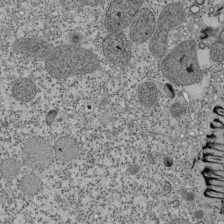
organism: Tetrahymena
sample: Cilia in tetrahymena